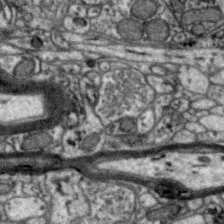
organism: Zebra finch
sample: Brain